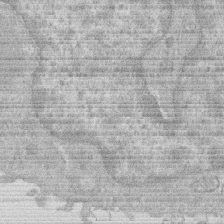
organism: Human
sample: Macrophage cells